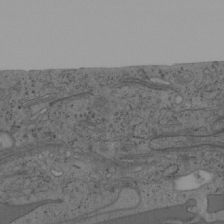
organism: Human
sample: HeLa cells